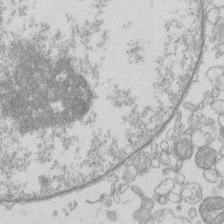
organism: Human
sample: Macrophage cells